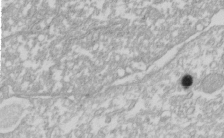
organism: Xenopus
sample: Cilia; centrioles in frog embryo cells